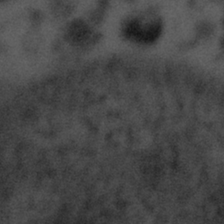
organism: Tuwongella immobilis